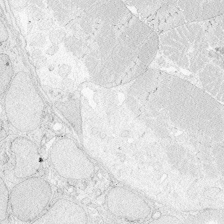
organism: Zebrafish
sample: Whole-Brain